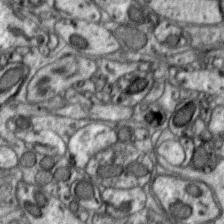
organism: Zebra finch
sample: Brain